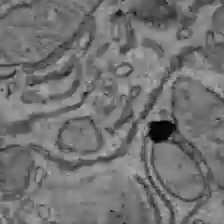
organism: C57BL Mouse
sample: Liver